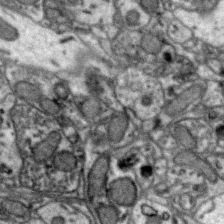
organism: Zebra finch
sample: Brain